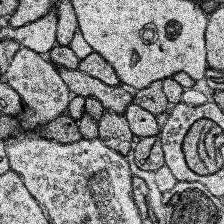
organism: Human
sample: Temporal Lobe